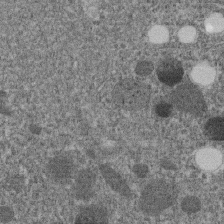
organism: C. elegans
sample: C. elegans embryo early stage